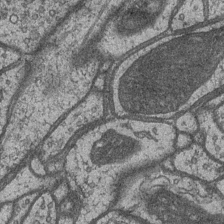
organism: Drosophila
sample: Optic medulla